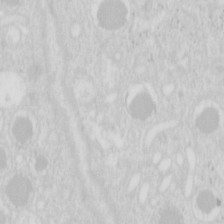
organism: Mouse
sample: Pancreas